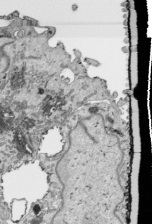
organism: Human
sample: Mitochondria in HCT116 cells